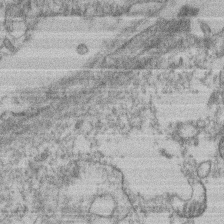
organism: Mouse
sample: T cell stromal cell synapse